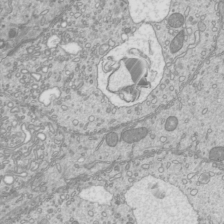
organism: Mouse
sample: Cilia; mouse epididymis